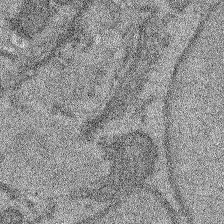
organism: Human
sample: HeLa cells